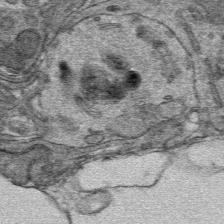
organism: Mouse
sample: Mouse hepatocytes